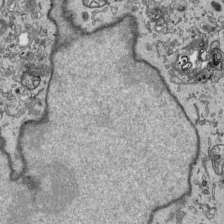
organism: Human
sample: Mitochondria in HCT116 cells